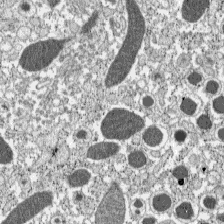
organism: C57BL Mouse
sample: Pancreatic islet